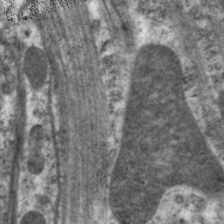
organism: C. elegans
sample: Pharynx